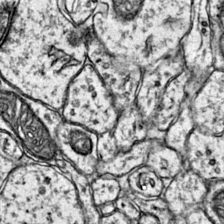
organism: Mouse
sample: Primary visual cortex